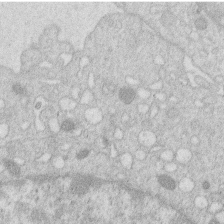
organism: Human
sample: Macrophage cells